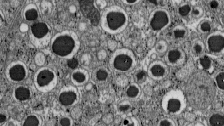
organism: C57BL Mouse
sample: Pancreatic islet